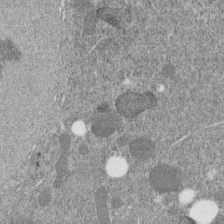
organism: C. elegans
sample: C. elegans embryo early stage